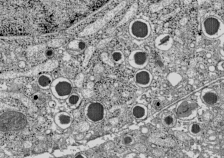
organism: C57BL Mouse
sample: Pancreatic islet